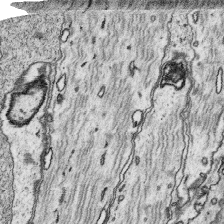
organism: Platynereis dumerilii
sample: Parapodia